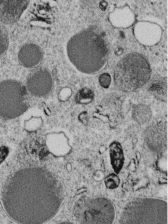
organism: C. elegans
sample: C. elegans embryo early stage